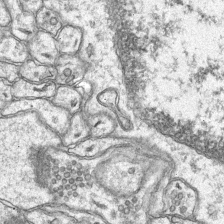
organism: Mouse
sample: CA1 Hippocampus